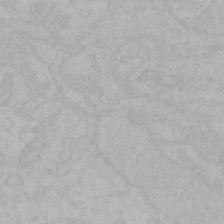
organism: Mouse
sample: Choroid plexus